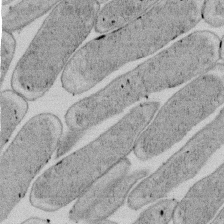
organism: E. coli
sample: Bacterial nucleoid